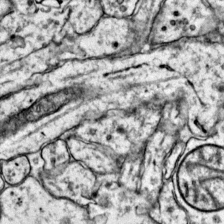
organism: Mouse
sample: Primary visual cortex